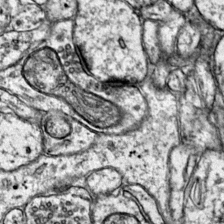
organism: Mouse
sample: Primary visual cortex